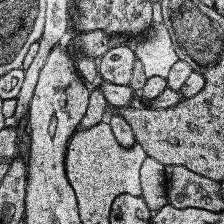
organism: Human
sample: Temporal Lobe